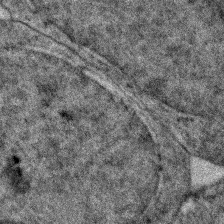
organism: Zebrafish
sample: Zebrafish embryo